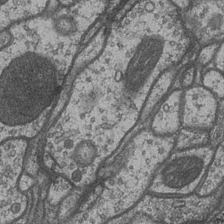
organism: Drosophila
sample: Optic medulla